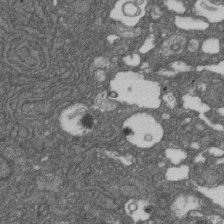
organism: Drosophila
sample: Nephrocyte